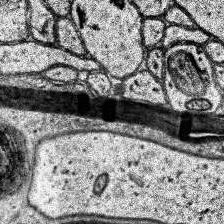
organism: Human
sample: Temporal Lobe